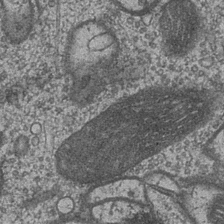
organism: Drosophila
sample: Optic medulla